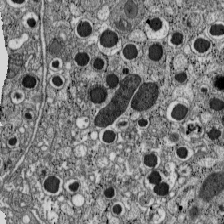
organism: C57BL Mouse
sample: Pancreatic islet